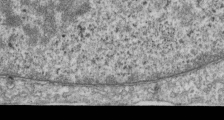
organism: Human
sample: Centriole in RPE cells